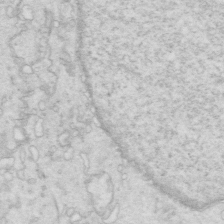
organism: Mouse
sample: Multiciliated cells